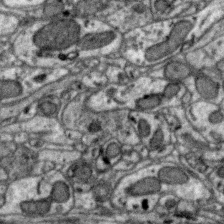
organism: Zebra finch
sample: Brain